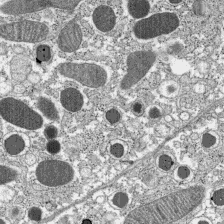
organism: C57BL Mouse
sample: Pancreatic islet